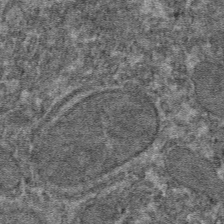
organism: Mouse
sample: Mouse hepatocytes